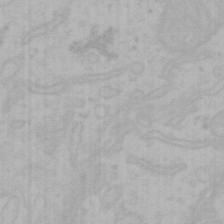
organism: Mouse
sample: Choroid plexus